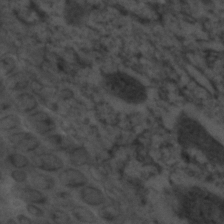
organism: C. elegans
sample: C. elegans embryo